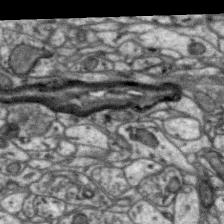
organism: Zebra finch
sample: Brain